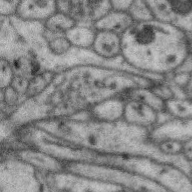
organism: Zebra finch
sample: Brain